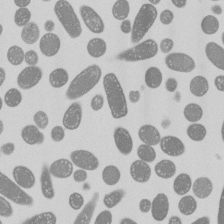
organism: E. coli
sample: Bacterial nucleoid